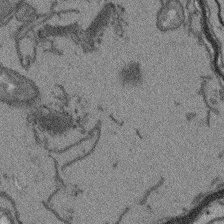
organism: Arabidopsis thaliana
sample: Root tip